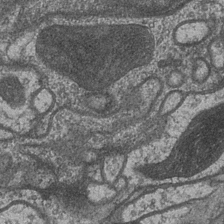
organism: Drosophila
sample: Optic medulla